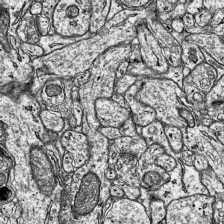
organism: Mouse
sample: Visual Cortex